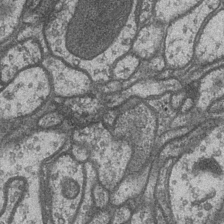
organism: Drosophila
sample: Optic medulla